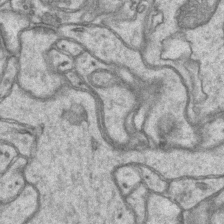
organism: Mouse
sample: CA1 Hippocampus